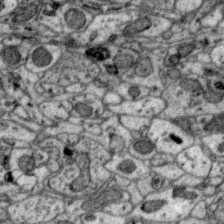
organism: Zebra finch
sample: Brain